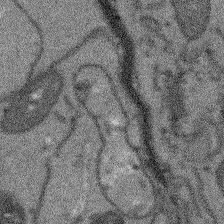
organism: Arabidopsis thaliana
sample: Root tip